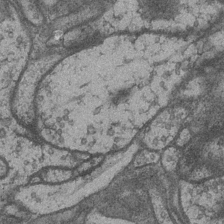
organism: Drosophila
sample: Optic medulla